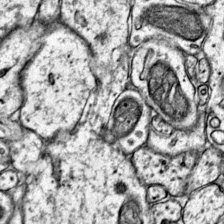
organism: Mouse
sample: Primary visual cortex